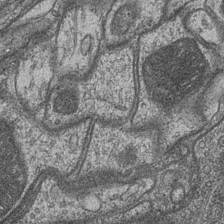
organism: Drosophila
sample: Optic medulla